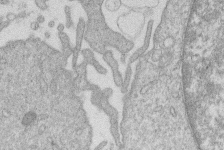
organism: Human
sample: Macrophage cells